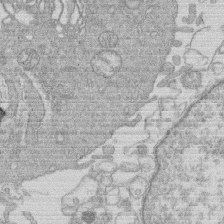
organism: Human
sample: Macrophage cells